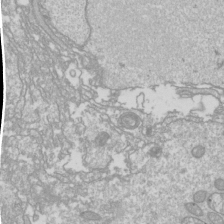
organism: Drosophila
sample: Cell division; meiosis; drosophila spermatocytes